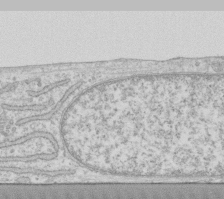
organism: Human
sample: Fibroblast cells